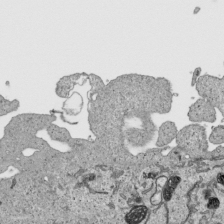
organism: Human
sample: Mitochondria in HCT116 cells